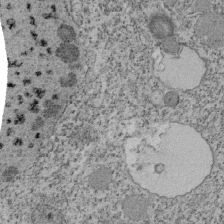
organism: Tetrahymena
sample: Cilia in tetrahymena